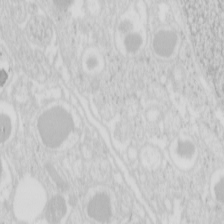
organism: Mouse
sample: Pancreas